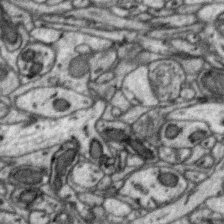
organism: Zebra finch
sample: Brain